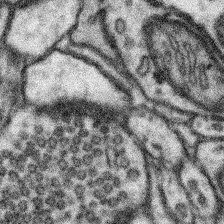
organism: Mouse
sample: Somatosensory cortex neuropil